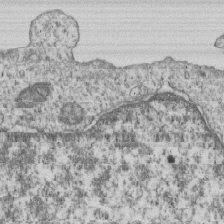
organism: Human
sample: MDA-MB-231 cells